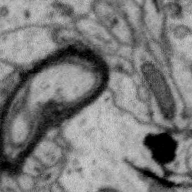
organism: Zebra finch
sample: Brain